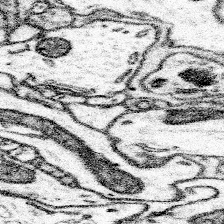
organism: Mouse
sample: Somatosensory cortex neuropil